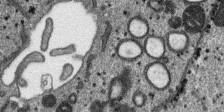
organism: Human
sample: Lung epithelial cells infected with SARS-CoV-2